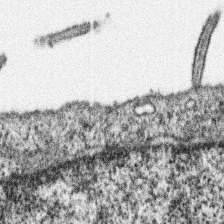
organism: Human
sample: HeLa cells